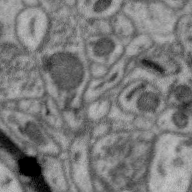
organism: Zebra finch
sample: Brain